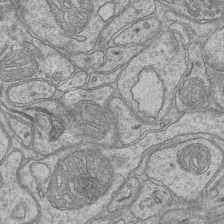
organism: Mouse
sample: CA1 Hippocampus